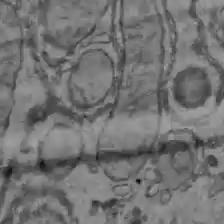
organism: C57BL Mouse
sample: Liver